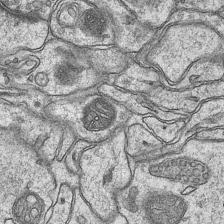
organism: Mouse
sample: CA1 Hippocampus